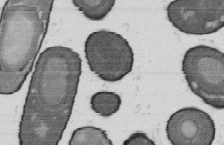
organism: B. subtilis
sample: Bacterial spore